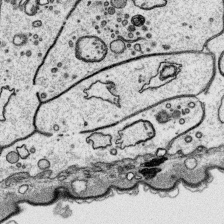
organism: Platynereis dumerilii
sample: Parapodia